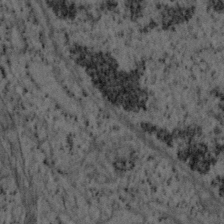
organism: Human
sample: HeLa cells